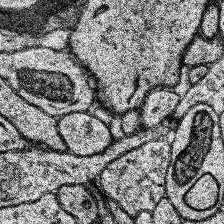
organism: Human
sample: Temporal Lobe